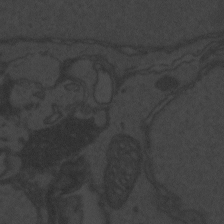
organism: Zebrafish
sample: Macrophage infected with Toxoplasma gondii